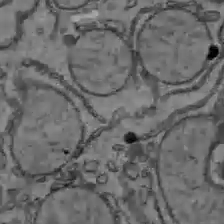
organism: C57BL Mouse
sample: Liver